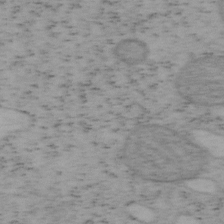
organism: Mouse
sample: OT-I killer T cells with ID8 ovarian cancer cells